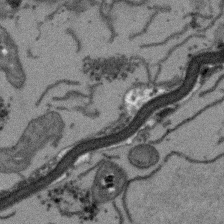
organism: Arabidopsis thaliana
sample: Root tip